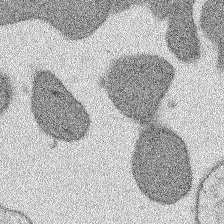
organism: Human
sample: HeLa cells